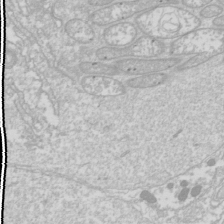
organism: Drosophila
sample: Cell division; meiosis; drosophila spermatocytes